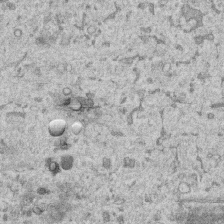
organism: Human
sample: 1205lu cells